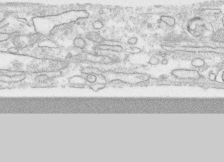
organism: Human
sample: CRL-1474